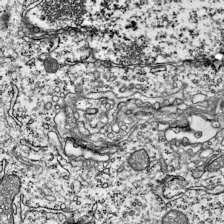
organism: Mouse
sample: Visual Cortex